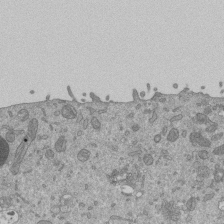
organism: Mouse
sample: ED-1 cell nuclei; centrioles